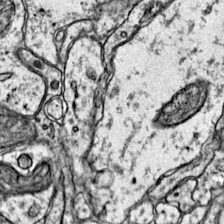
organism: Mouse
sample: Primary visual cortex